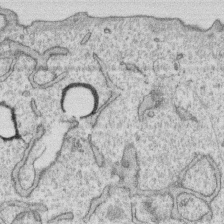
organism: Human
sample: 1205lu cells